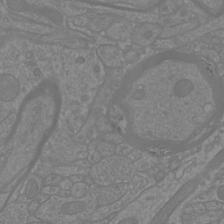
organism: Mouse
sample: Cortical neurons